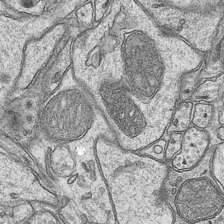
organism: Mouse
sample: CA1 Hippocampus